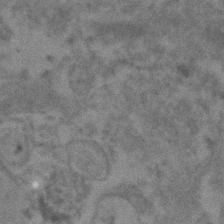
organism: Human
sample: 1205lu cells